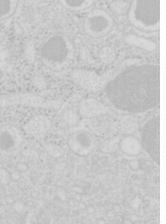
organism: Mouse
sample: Pancreas